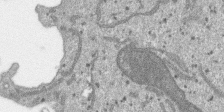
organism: Human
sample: Lung epithelial cells infected with SARS-CoV-2